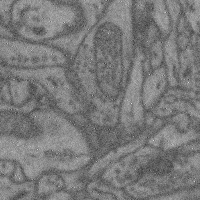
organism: Mouse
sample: Cerebral cortex